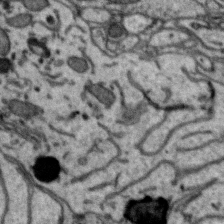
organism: Zebra finch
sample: Brain